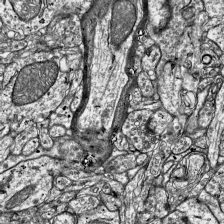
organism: Mouse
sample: Visual Cortex